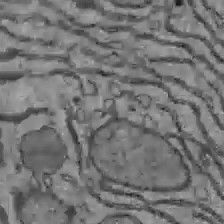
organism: C57BL Mouse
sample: Liver